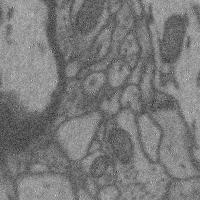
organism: Mouse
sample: Cerebral cortex